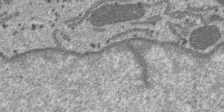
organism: Human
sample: Lung epithelial cells infected with SARS-CoV-2